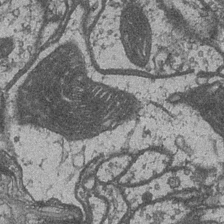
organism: Drosophila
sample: Optic medulla